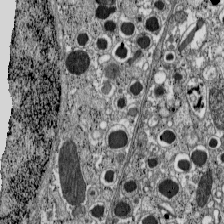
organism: C57BL Mouse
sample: Pancreatic islet